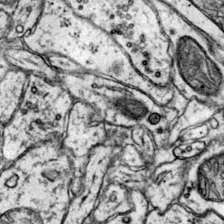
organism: Mouse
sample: Primary visual cortex